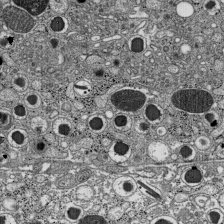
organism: C57BL Mouse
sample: Pancreatic islet